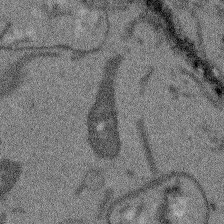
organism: Arabidopsis thaliana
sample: Root tip